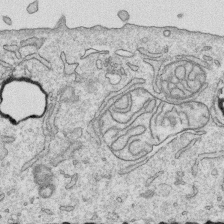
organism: Human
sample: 1205lu cells